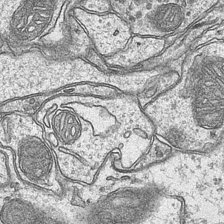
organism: Mouse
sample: CA1 Hippocampus